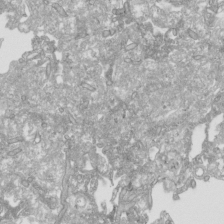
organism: Human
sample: Mitochondria in HCT116 cells